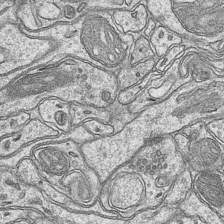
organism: Mouse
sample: CA1 Hippocampus